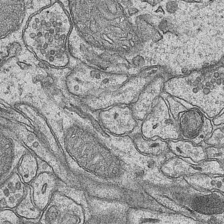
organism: Mouse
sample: CA1 Hippocampus